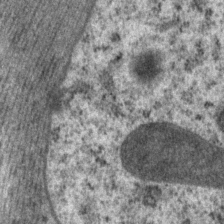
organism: P. pacificus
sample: Pharynx